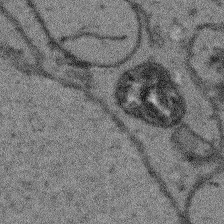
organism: Arabidopsis thaliana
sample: Root tip